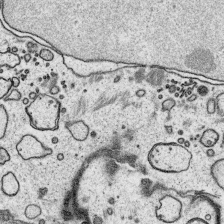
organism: Platynereis dumerilii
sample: Parapodia